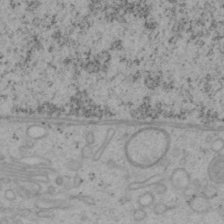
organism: Human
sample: HeLa cells